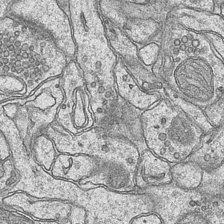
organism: Mouse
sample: CA1 Hippocampus